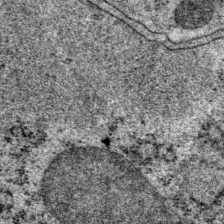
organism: P. pacificus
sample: Pharynx